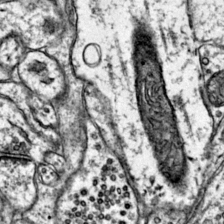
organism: Mouse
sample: Primary visual cortex